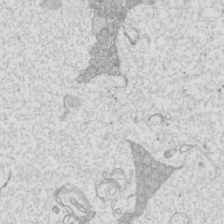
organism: Mouse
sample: Cilia; mouse epididymis